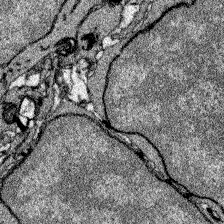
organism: Zebrafish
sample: Larval olfactory bulb